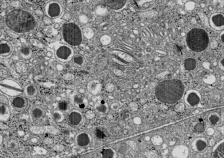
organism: C57BL Mouse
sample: Pancreatic islet